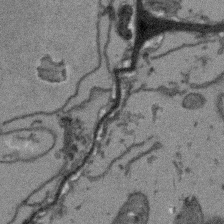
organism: Arabidopsis thaliana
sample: Root tip